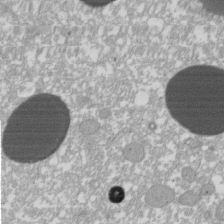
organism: Xenopus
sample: Cilia; centrioles in frog embryo cells